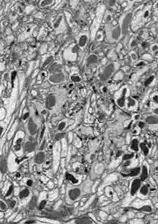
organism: Drosophila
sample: Optic lobe